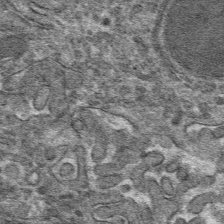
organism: Mouse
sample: Mouse hepatocytes